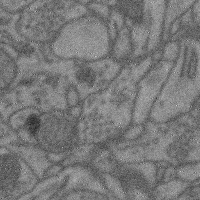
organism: Mouse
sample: Cerebral cortex